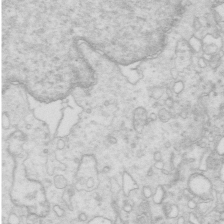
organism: Mouse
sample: Multiciliated cells